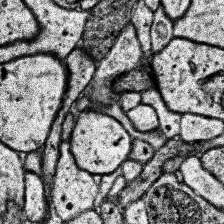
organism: Human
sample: Temporal Lobe